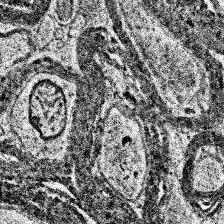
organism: Human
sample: Temporal Lobe